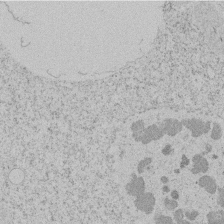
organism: Tetrahymena